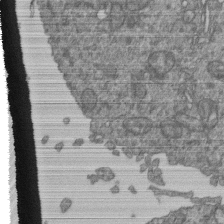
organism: Human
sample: Retinal organoid Rod and Cone cells